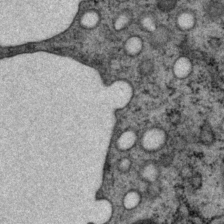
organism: P. pacificus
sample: Pharynx